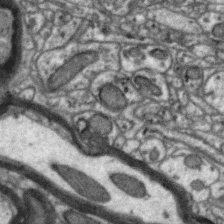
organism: Zebra finch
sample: Brain